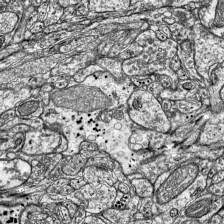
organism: Mouse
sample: Visual Cortex